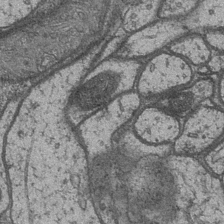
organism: Drosophila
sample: Optic medulla